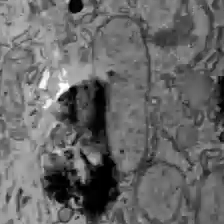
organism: C57BL Mouse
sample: Liver